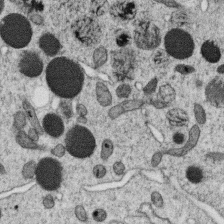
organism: C. elegans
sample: C. elegans oocyte; sperm cells